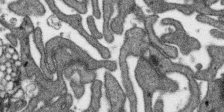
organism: Human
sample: Lung epithelial cells, uninfected (mock) control